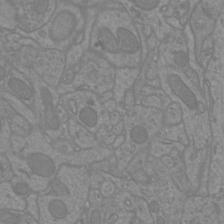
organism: Mouse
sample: Cortical neurons